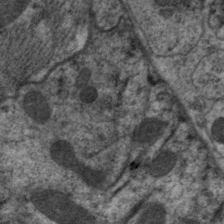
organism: C. elegans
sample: Pharynx